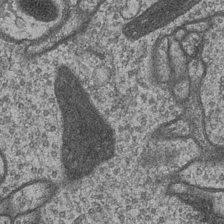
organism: Drosophila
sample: Optic medulla